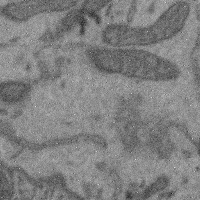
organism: Mouse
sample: Cerebral cortex